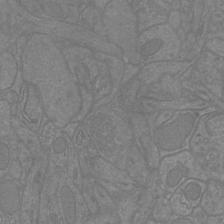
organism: Mouse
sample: Cortical neurons